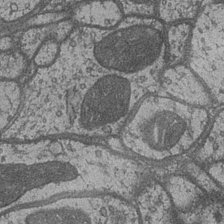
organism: Drosophila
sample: Optic medulla